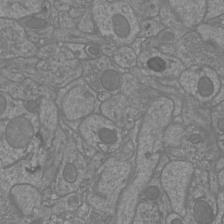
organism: Mouse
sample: Cortical neurons